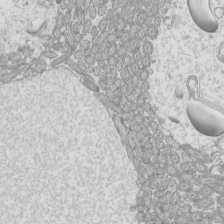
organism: Mouse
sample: Cilia; mouse epididymis